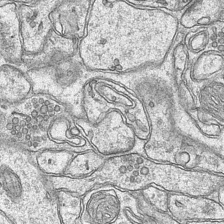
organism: Mouse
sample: CA1 Hippocampus